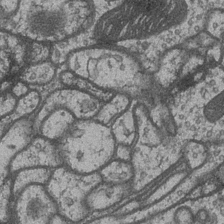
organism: Drosophila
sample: Optic medulla